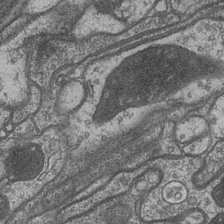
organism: Drosophila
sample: Optic medulla